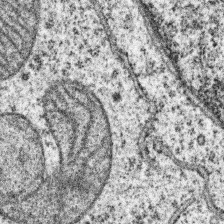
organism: Human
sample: HeLa cells